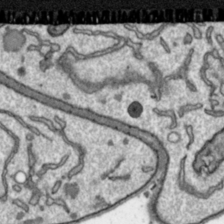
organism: Toxoplasma gondii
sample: Parasites in a vacuole inside a host cell